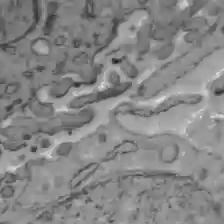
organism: C57BL Mouse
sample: Liver